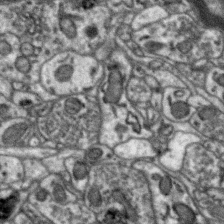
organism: Zebra finch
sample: Brain